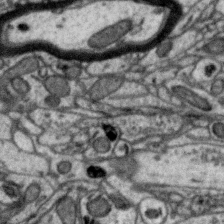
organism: Zebra finch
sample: Brain